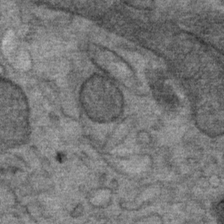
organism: Mouse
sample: Mouse Salivary gland